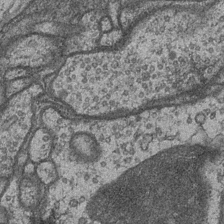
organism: Drosophila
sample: Optic medulla